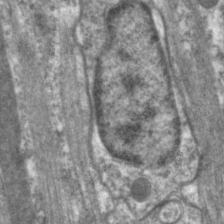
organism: C. elegans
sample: Pharynx